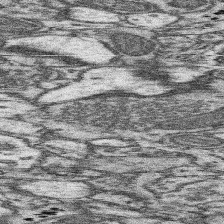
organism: Mouse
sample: Somatosensory cortex neuropil